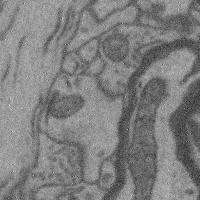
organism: Mouse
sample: Cerebral cortex